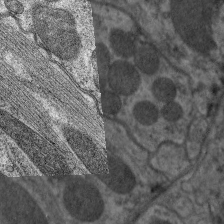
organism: C. elegans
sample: Pharynx